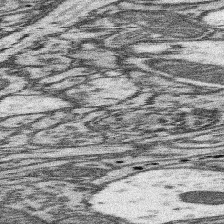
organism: Mouse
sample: Somatosensory cortex neuropil